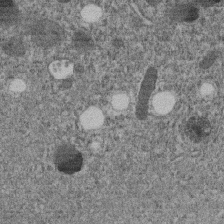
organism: C. elegans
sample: C. elegans embryo early stage